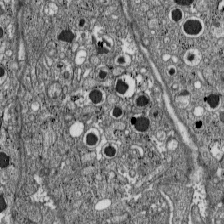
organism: C57BL Mouse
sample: Pancreatic islet